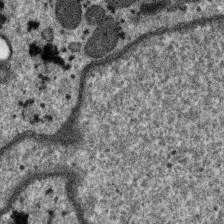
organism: Human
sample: Lung epithelial cells infected with SARS-CoV-2